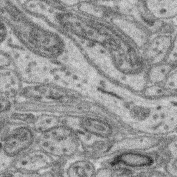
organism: Mouse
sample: Retina